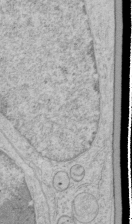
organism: Human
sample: Mitochondria in HCT116 cells